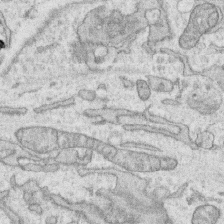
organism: Human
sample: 1205lu cells